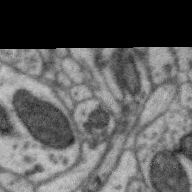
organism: Zebra finch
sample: Brain